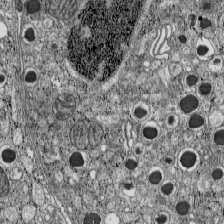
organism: C57BL Mouse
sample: Pancreatic islet